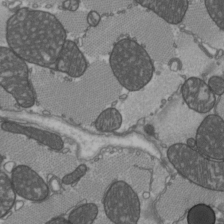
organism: C57BL Mouse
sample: Heart